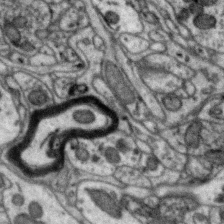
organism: Zebra finch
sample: Brain